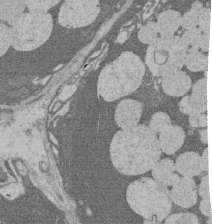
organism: Rat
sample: Salivary granule